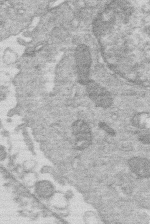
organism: Human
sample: Macrophage cells